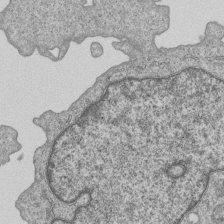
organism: Human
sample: MDA-MB-231 cells